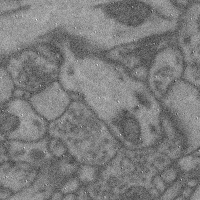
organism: Mouse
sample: Cerebral cortex